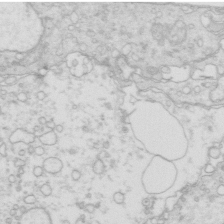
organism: Mouse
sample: Multiciliated cells